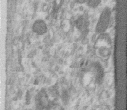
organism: Human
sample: Centriole in RPE cells